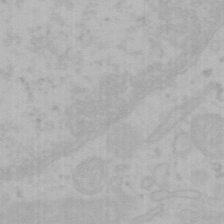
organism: Mouse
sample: Choroid plexus